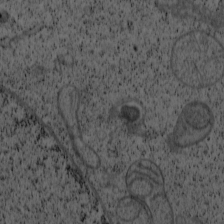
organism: African green monkey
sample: COS-7 cells